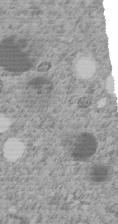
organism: C. elegans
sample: C. elegans embryo early stage